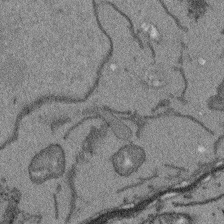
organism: Arabidopsis thaliana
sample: Root tip